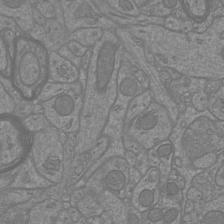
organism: Mouse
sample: Cortical neurons